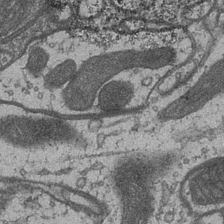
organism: Drosophila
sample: Optic medulla